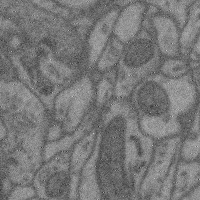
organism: Mouse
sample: Cerebral cortex